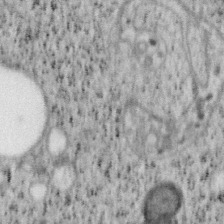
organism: Mouse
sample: OT-I killer T cells with ID8 ovarian cancer cells